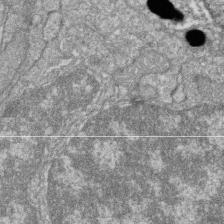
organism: Zebrafish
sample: Cilia; retinal pigment epithelium